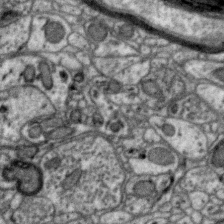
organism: Zebra finch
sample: Brain